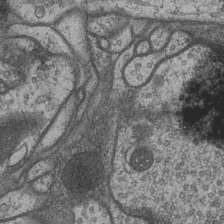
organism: Drosophila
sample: Optic medulla